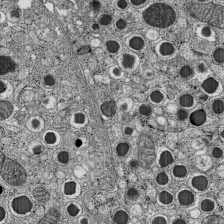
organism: C57BL Mouse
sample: Pancreatic islet